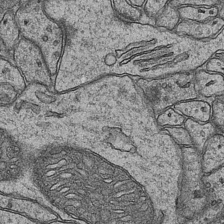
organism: Mouse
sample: CA1 Hippocampus